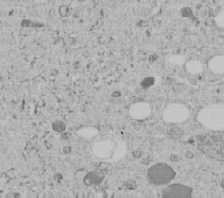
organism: C. elegans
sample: C. elegans embryo early stage